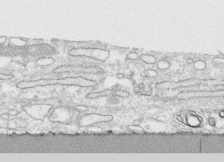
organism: Human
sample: CRL-1474